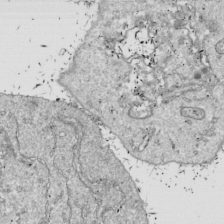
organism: Drosophila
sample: Cell division; meiosis; drosophila spermatocytes